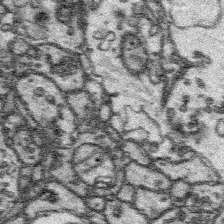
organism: Platynereis dumerilii